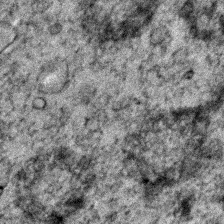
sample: Trachea